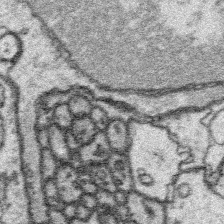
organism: Platynereis dumerilii